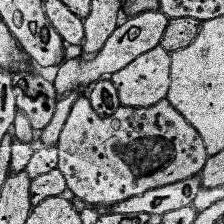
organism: Human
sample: Temporal Lobe